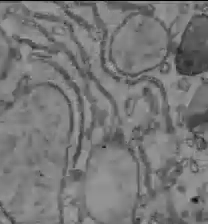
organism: C57BL Mouse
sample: Liver